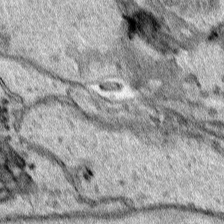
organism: Human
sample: Mitochondria in HCT116 cells